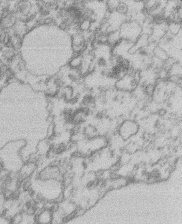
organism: Mouse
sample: T cell stromal cell synapse